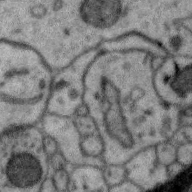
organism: Zebra finch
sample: Brain